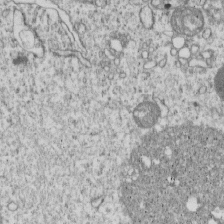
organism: Human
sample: MDA-MB-231 cells